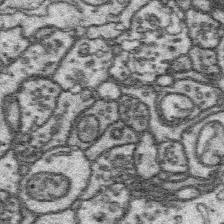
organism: Platynereis dumerilii